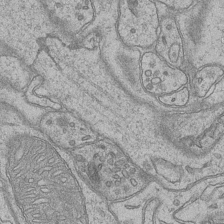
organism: Mouse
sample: CA1 Hippocampus